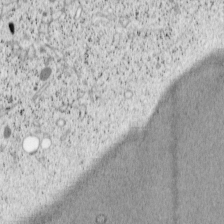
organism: African green monkey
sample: COS-7 cells